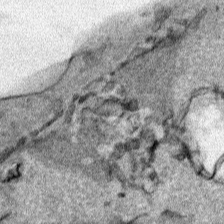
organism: Human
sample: Mitochondria in HCT116 cells